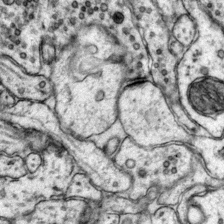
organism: Mouse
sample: Primary visual cortex